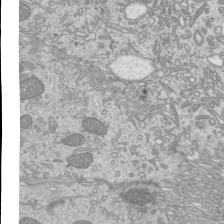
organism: Mouse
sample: Cilia; mouse epididymis